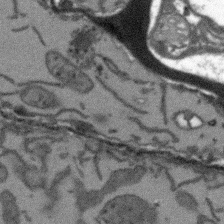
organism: Arabidopsis thaliana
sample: Root tip